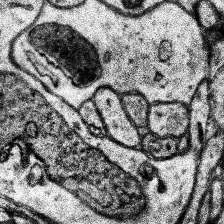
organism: Human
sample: Temporal Lobe